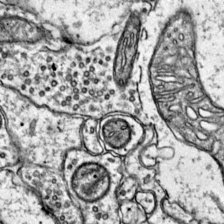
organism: Mouse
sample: Primary visual cortex